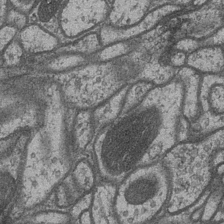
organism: Drosophila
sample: Optic medulla